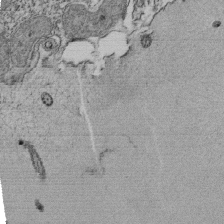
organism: Tetrahymena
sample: Cilia in tetrahymena